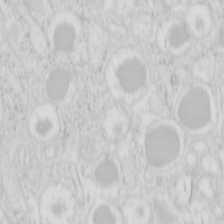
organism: Mouse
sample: Pancreas